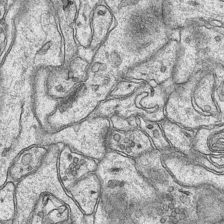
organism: Mouse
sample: CA1 Hippocampus